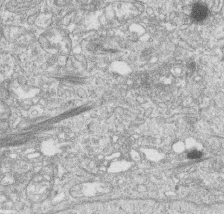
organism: Human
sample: HeLa cell HIV synapse